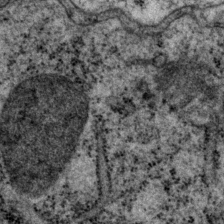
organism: P. pacificus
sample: Pharynx